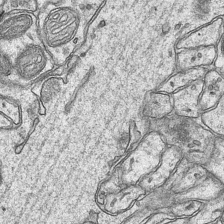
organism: Mouse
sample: CA1 Hippocampus